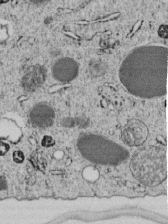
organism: C. elegans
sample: C. elegans embryo early stage